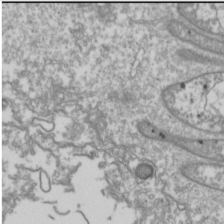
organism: Drosophila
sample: Cell division; meiosis; drosophila spermatocytes